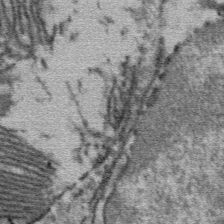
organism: Mouse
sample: Mouse Salivary gland